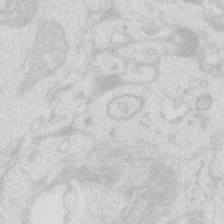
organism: Zebrafish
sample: Macrophage